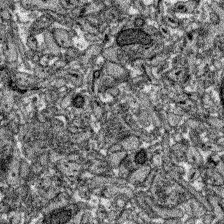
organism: Zebrafish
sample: Larval olfactory bulb